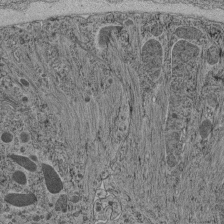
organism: C. elegans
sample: C. elegans pharynx